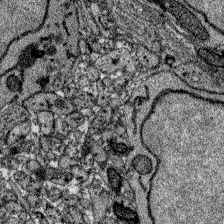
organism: Zebrafish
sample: Larval olfactory bulb